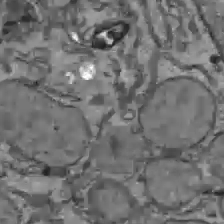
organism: C57BL Mouse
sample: Liver